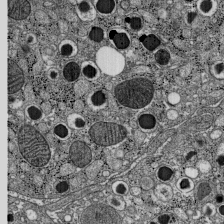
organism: C57BL Mouse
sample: Pancreatic islet